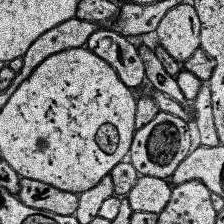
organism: Human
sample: Temporal Lobe